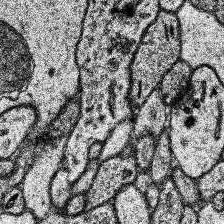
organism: Human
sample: Temporal Lobe